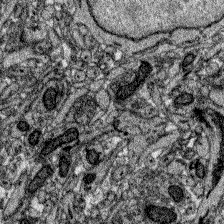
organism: Zebrafish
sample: Larval olfactory bulb